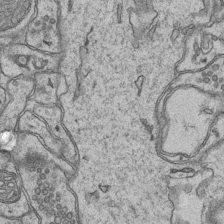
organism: Mouse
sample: CA1 Hippocampus